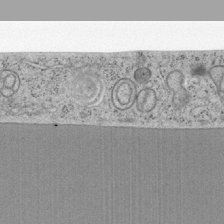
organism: Human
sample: HeLa cells